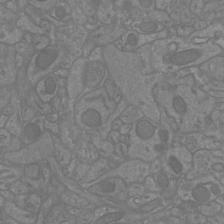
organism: Mouse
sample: Cortical neurons